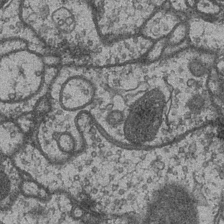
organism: Drosophila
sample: Optic medulla